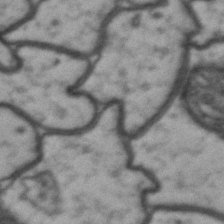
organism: Drosophila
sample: Brain